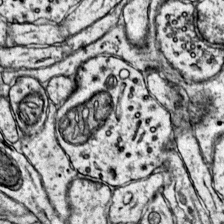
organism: Mouse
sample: Primary visual cortex